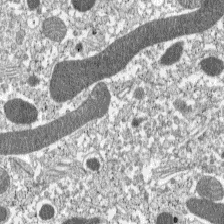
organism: C57BL Mouse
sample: Pancreatic islet